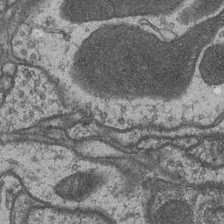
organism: Drosophila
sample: Optic medulla